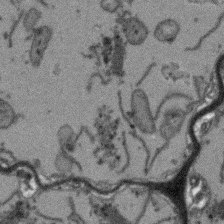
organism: Arabidopsis thaliana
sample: Root tip